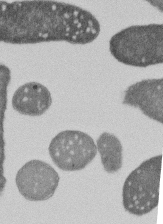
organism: E. coli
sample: Bacterial nucleoid